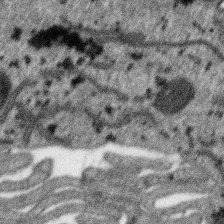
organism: Human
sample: Lung epithelial cells infected with SARS-CoV-2